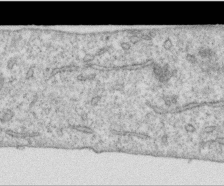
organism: Human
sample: Centriole in RPE cells